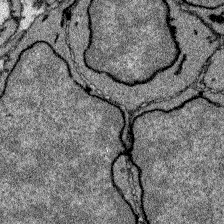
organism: Zebrafish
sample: Larval olfactory bulb